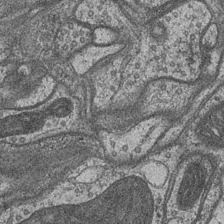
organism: Drosophila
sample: Optic medulla